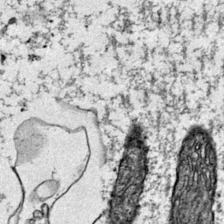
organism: Mouse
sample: Primary visual cortex